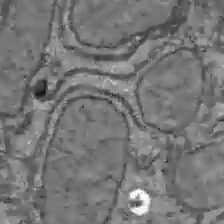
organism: C57BL Mouse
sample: Liver